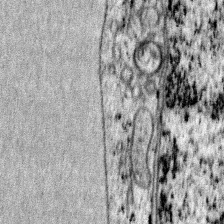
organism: Human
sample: HeLa cells